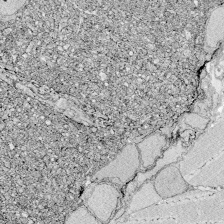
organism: Zebrafish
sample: Whole-Brain